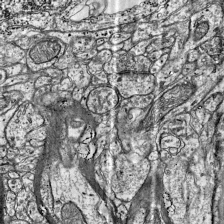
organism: Mouse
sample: Visual Cortex